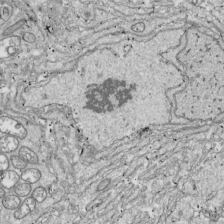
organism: Drosophila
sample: Cell division; meiosis; drosophila spermatocytes